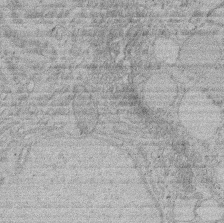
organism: Rat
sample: Salivary granule